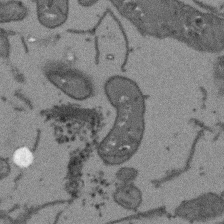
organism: Arabidopsis thaliana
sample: Root tip